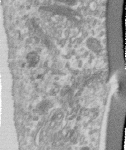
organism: Human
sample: Centriole in RPE cells